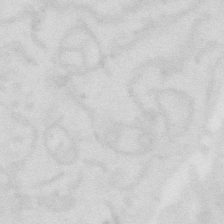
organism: Human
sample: HeLa cells